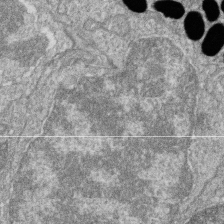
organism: Zebrafish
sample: Cilia; retinal pigment epithelium